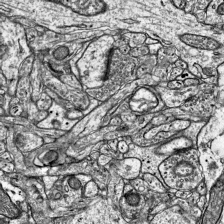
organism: Mouse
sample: Visual Cortex